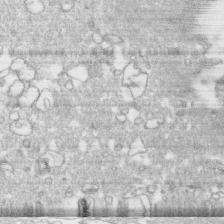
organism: Human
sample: CRL-1474